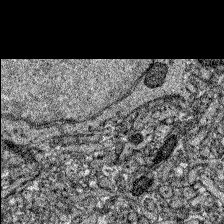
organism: Zebrafish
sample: Larval olfactory bulb